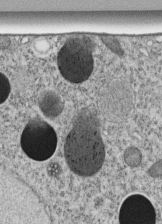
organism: C. elegans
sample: C. elegans embryo early stage